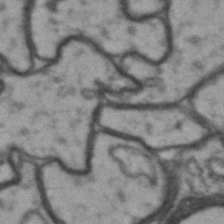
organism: Drosophila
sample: Brain